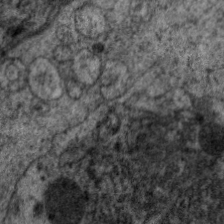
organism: C. elegans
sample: Pharynx